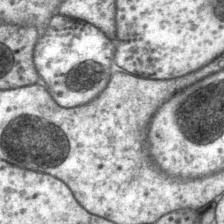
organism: P. pacificus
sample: Pharynx